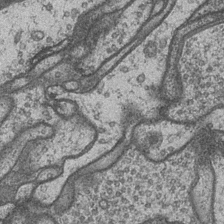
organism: Drosophila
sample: Optic medulla